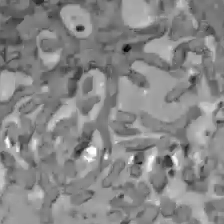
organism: C57BL Mouse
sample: Liver